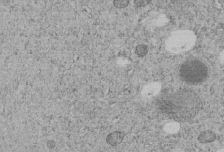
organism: C. elegans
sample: C. elegans embryo early stage